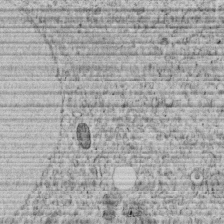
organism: C. elegans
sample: C. elegans embryo early stage